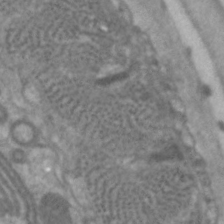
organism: C. elegans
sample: Pharynx